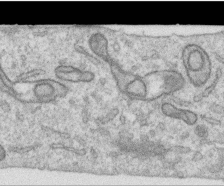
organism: Human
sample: Centriole in RPE cells